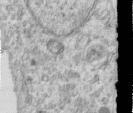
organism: Human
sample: Centriole in RPE cells